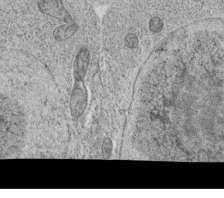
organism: C. elegans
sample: C. elegans oocyte; sperm cells